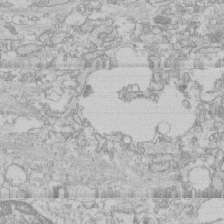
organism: Human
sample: CRL-1474